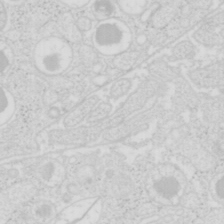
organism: Mouse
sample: Pancreas